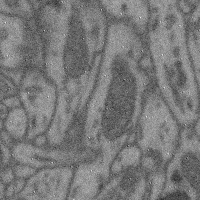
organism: Mouse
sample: Cerebral cortex